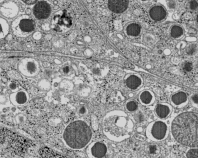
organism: C57BL Mouse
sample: Pancreatic islet